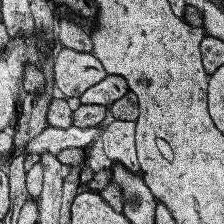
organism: Human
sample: Temporal Lobe